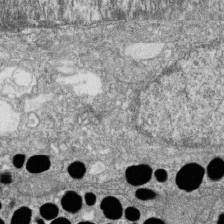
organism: Zebrafish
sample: Cilia; retinal pigment epithelium